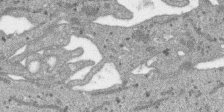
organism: Human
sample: Lung epithelial cells infected with SARS-CoV-2